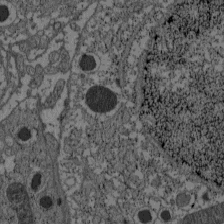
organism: C57BL Mouse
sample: Pancreatic islet